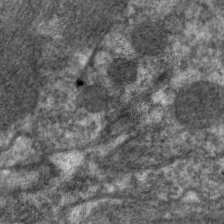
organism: C. elegans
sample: Pharynx